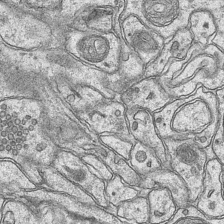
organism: Mouse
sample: CA1 Hippocampus